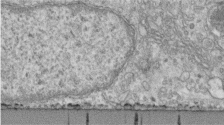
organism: Human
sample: Centriole in fibroblast cells